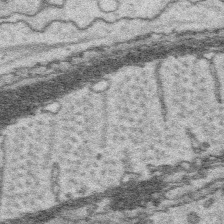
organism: Platynereis dumerilii